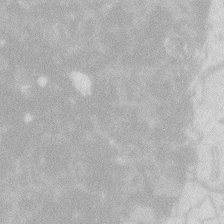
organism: Zebrafish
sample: Macrophage